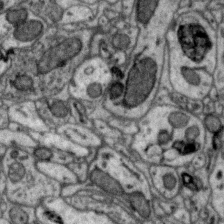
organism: Zebra finch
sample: Brain